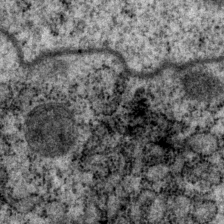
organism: P. pacificus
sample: Pharynx